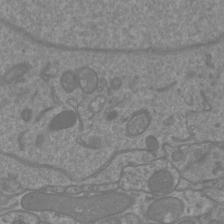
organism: Mouse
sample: Cortical neurons